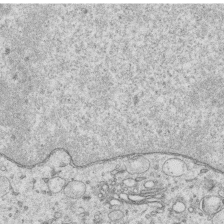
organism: Human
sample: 1205lu cells